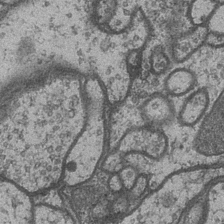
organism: Drosophila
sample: Optic medulla